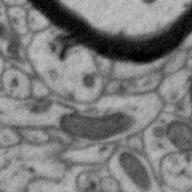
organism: Zebra finch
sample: Brain